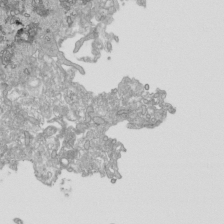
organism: Human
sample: Mitochondria in HCT116 cells